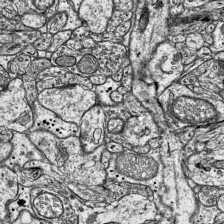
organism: Mouse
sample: Visual Cortex